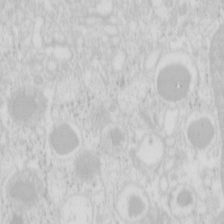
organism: Mouse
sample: Pancreas